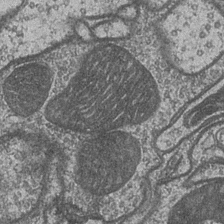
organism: Drosophila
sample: Optic medulla